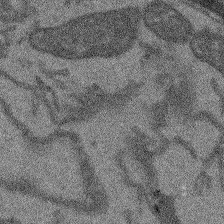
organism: Arabidopsis thaliana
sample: Root tip